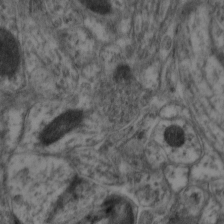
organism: Mouse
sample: Neocortex